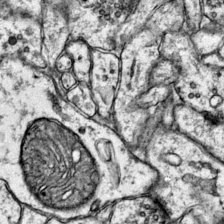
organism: Mouse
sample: Primary visual cortex